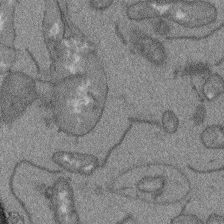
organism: Arabidopsis thaliana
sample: Root tip